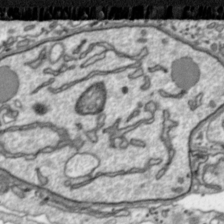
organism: Toxoplasma gondii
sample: Parasites in a vacuole inside a host cell